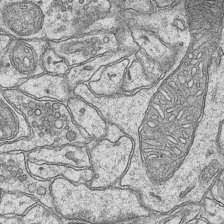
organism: Mouse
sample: CA1 Hippocampus